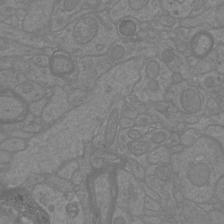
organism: Mouse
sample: Cortical neurons